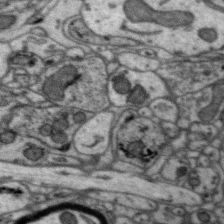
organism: Zebra finch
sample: Brain